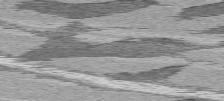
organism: C57BL Mouse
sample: Heart